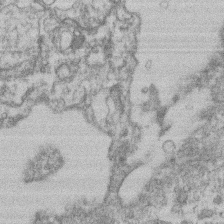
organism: Mouse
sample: T cell stromal cell synapse